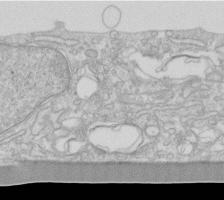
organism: Human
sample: Fibroblast cells